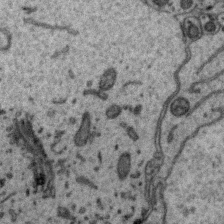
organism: Zebra finch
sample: Brain